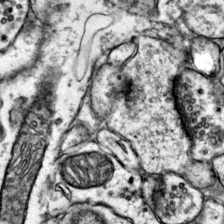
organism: Mouse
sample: Primary visual cortex